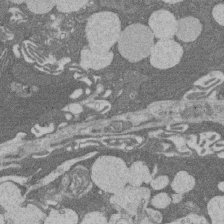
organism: Rat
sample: Salivary granule